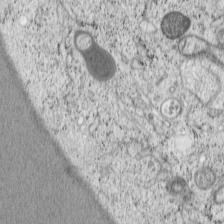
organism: African green monkey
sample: COS-7 cells